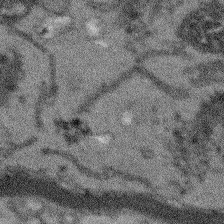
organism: Arabidopsis thaliana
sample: Root tip